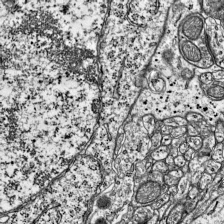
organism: Mouse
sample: Visual Cortex